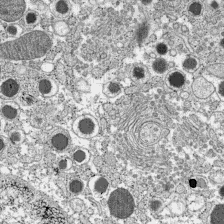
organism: C57BL Mouse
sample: Pancreatic islet